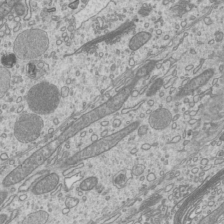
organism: Mouse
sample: Cilia; mouse epididymis